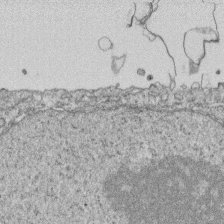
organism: Human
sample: HeLa cell HIV synapse